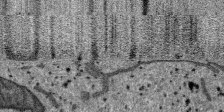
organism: Human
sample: Lung epithelial cells, uninfected (mock) control